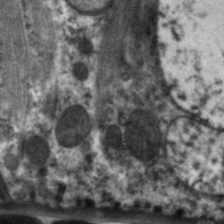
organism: C. elegans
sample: Pharynx